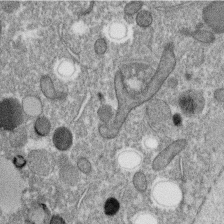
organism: C. elegans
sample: C. elegans oocyte; sperm cells